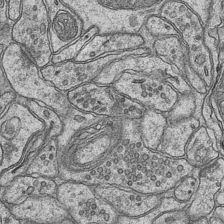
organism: Mouse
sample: CA1 Hippocampus